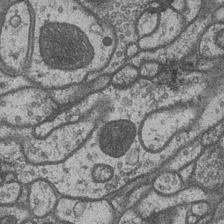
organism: Drosophila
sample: Optic medulla